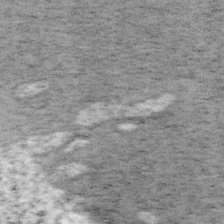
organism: Mouse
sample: OT-I killer T cells with ID8 ovarian cancer cells